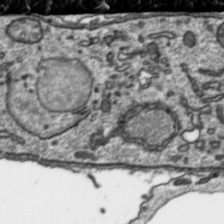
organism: Toxoplasma gondii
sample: Parasites in a vacuole inside a host cell